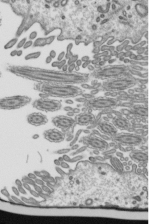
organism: Mouse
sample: Mouse epididymis efferent ductule cilia